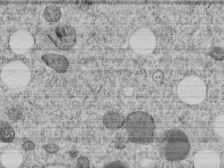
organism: C. elegans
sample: C. elegans embryo early stage